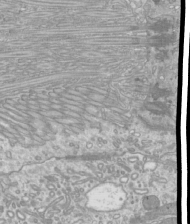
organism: Mouse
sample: Cilia; mouse epididymis